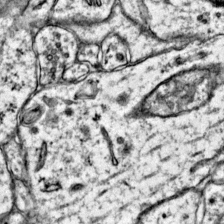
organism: Mouse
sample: Primary visual cortex